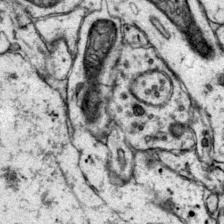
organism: Mouse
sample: Primary visual cortex